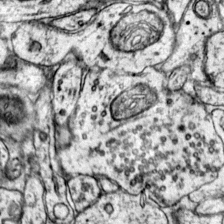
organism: Mouse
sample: Primary visual cortex